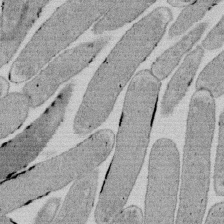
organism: E. coli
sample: Bacterial nucleoid